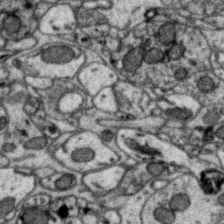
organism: Zebra finch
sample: Brain